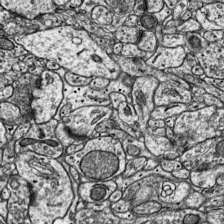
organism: Mouse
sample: Visual Cortex